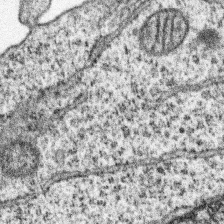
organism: Human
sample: HeLa cells